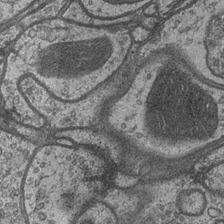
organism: Drosophila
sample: Optic medulla